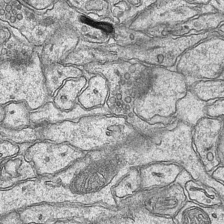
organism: Mouse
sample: CA1 Hippocampus